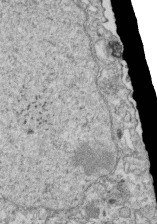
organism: Human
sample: HeLa cell HIV synapse